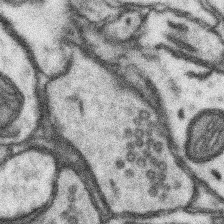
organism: Mouse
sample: Somatosensory cortex neuropil